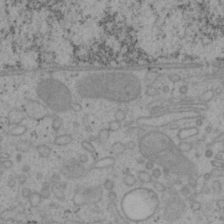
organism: Human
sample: HeLa cells